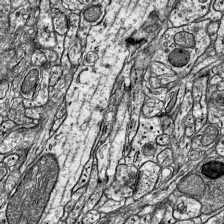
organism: Mouse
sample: Visual Cortex